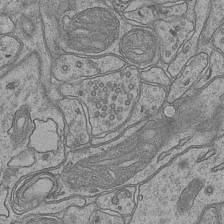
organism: Mouse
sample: CA1 Hippocampus